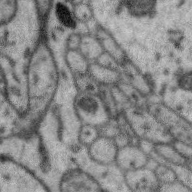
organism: Zebra finch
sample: Brain